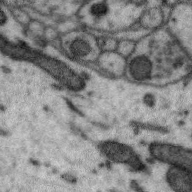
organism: Zebra finch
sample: Brain